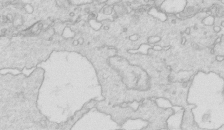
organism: Mouse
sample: Multiciliated cells